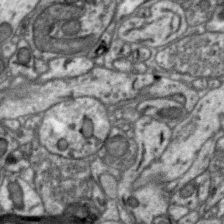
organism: Zebra finch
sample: Brain